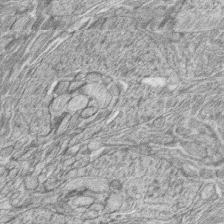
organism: Zebrafish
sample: synaptic ribbons in rod cells and cone cells